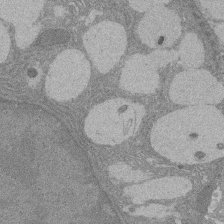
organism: Rat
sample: Salivary granule